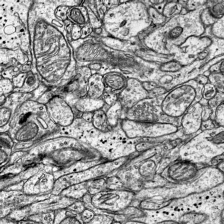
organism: Mouse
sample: Visual Cortex